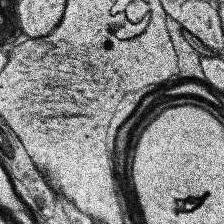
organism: Human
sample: Temporal Lobe